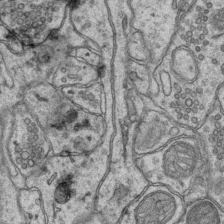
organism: Mouse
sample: CA1 Hippocampus